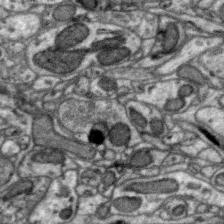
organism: Zebra finch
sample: Brain